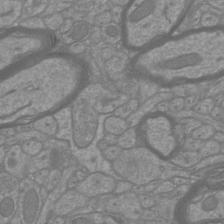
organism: Mouse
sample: Cortical neurons